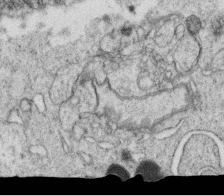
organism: C. elegans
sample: C. elegans oocyte; sperm cells